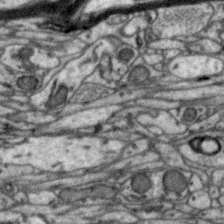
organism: Zebra finch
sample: Brain